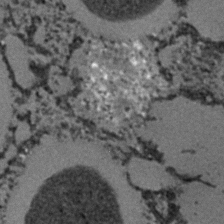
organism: C. elegans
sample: C. elegans embryo